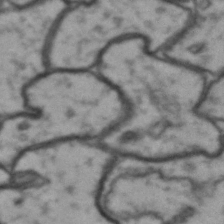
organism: Drosophila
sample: Brain